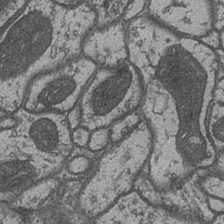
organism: Drosophila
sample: Optic medulla